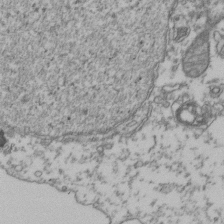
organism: Human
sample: Activated Jurkat CD4+ T cells